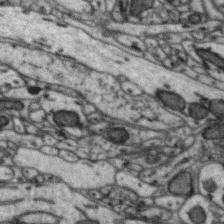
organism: Zebra finch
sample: Brain